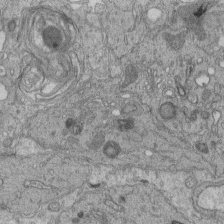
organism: Human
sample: Retinal organoid Rod and Cone cells